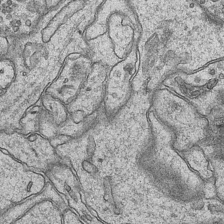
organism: Mouse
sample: CA1 Hippocampus